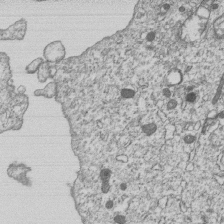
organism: Human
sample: MDA-MB-231 cells